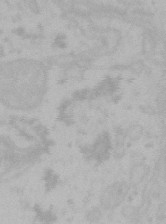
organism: Mouse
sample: Choroid plexus